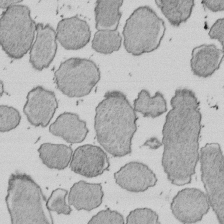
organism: E. coli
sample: Bacterial nucleoid